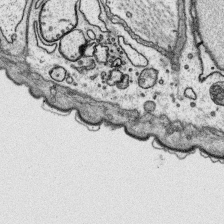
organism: Platynereis dumerilii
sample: Parapodia